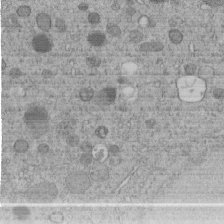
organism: C. elegans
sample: C. elegans embryo early stage